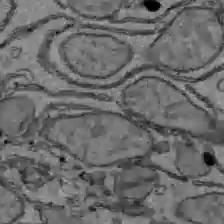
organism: C57BL Mouse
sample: Liver